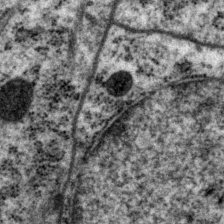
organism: P. pacificus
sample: Pharynx